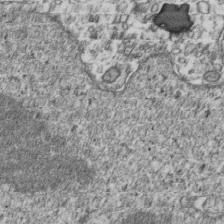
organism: Human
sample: Activated Jurkat CD4+ T cells